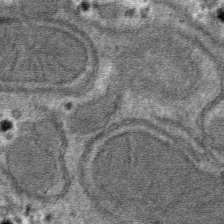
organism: Mouse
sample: Mouse hepatocytes